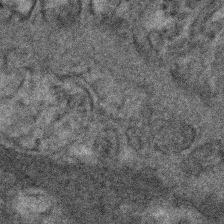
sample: Kidney